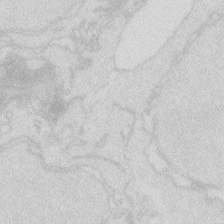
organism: Zebrafish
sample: Macrophage